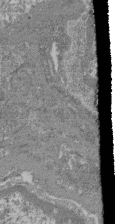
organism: Mouse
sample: Glomerulus